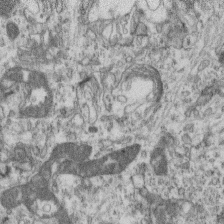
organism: Mouse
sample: Centriole in ependymal cells